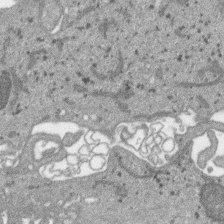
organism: Human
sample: Lung epithelial cells infected with SARS-CoV-2